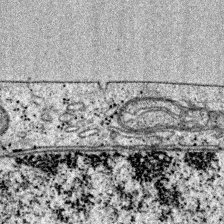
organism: Human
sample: HeLa cells